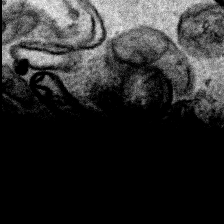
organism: Human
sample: Mitochondria in HCT116 cells